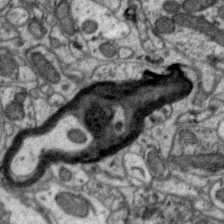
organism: Zebra finch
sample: Brain